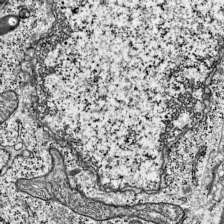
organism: Mouse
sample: Visual Cortex